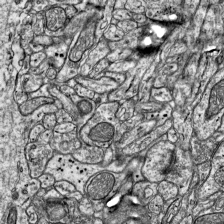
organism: Mouse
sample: Visual Cortex